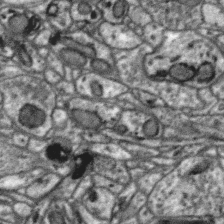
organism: Zebra finch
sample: Brain